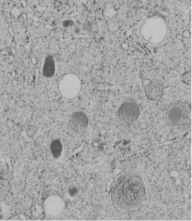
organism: C. elegans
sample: C. elegans embryo early stage